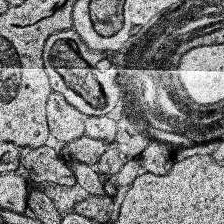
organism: Human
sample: Temporal Lobe